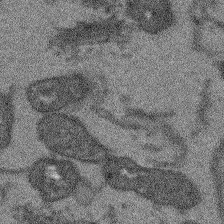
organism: Arabidopsis thaliana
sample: Root tip